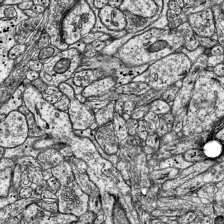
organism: Mouse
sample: Visual Cortex